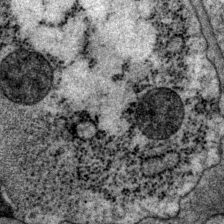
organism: P. pacificus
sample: Pharynx